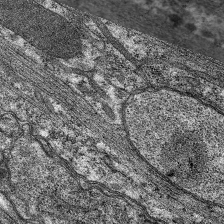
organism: C. elegans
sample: Pharynx